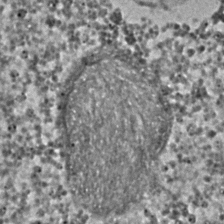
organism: C. elegans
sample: C. elegans embryo